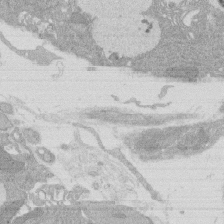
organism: Rat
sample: Salivary granule